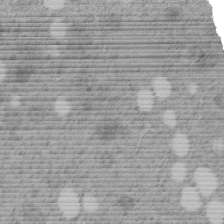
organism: C. elegans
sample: C. elegans embryo early stage